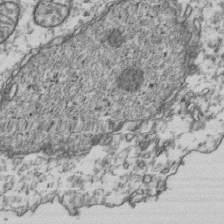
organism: Human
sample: Activated Jurkat CD4+ T cells